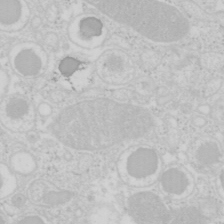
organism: Mouse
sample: Pancreas